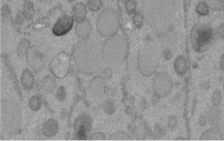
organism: C. elegans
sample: C. elegans embryo early stage